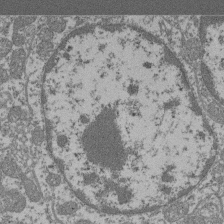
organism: Mouse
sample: Glomerulus